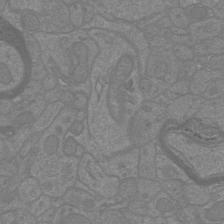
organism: Mouse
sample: Cortical neurons